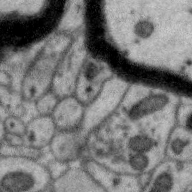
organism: Zebra finch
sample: Brain